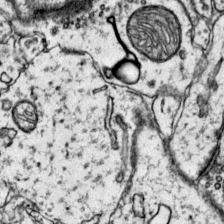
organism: Mouse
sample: Primary visual cortex